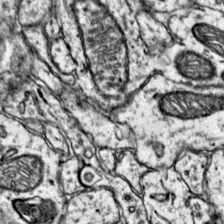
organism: Mouse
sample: Primary visual cortex